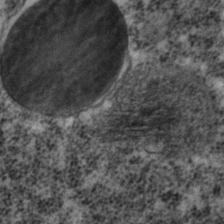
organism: C. elegans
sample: C. elegans embryo